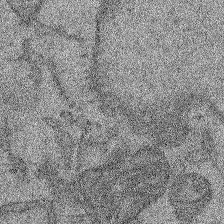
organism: Human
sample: HeLa cells